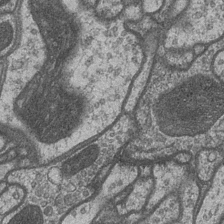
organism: Drosophila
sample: Optic medulla